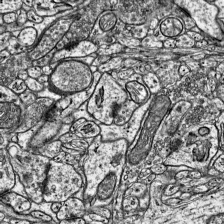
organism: Mouse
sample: Visual Cortex